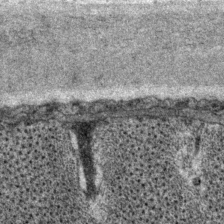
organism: P. pacificus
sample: Pharynx